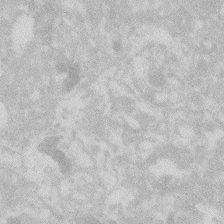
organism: Zebrafish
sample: Macrophage